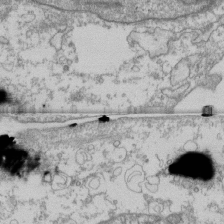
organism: Human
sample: Fibroblast cells